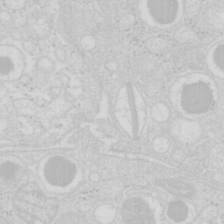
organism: Mouse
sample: Pancreas